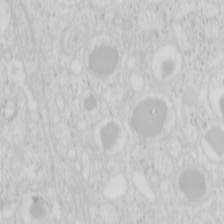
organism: Mouse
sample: Pancreas